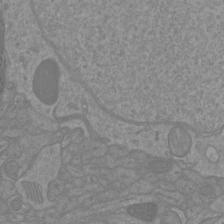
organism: Mouse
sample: Cortical neurons